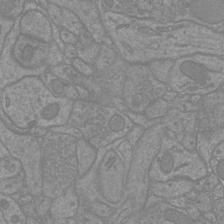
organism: Mouse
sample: Cortical neurons